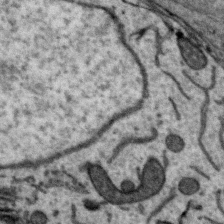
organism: Zebra finch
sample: Brain